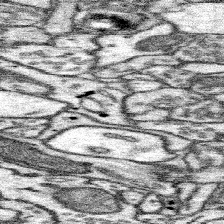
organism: Mouse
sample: Somatosensory cortex neuropil